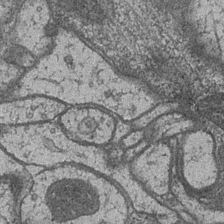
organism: Drosophila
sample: Optic medulla